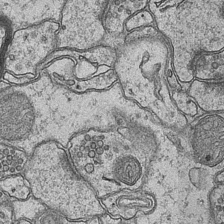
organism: Mouse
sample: CA1 Hippocampus